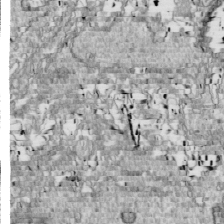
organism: Drosophila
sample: Cell division; meiosis; drosophila spermatocytes